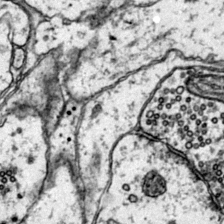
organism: Mouse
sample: Primary visual cortex